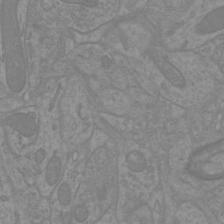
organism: Mouse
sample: Cortical neurons